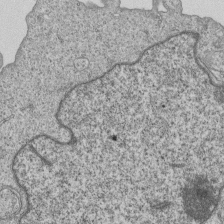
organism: Human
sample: MDA-MB-231 cells